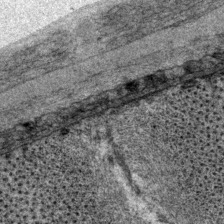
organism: P. pacificus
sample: Pharynx